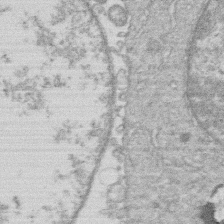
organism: Human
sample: Macrophage cells